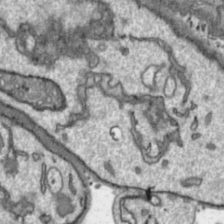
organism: Toxoplasma gondii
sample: Parasites in a vacuole inside a host cell